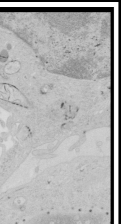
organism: Human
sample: Mitochondria in HCT116 cells